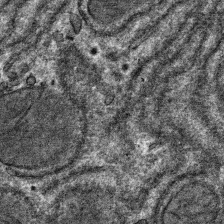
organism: Mouse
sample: Mouse hepatocytes